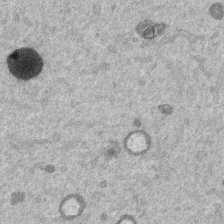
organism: Mouse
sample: Dividing mouse embryo 1 cell stage